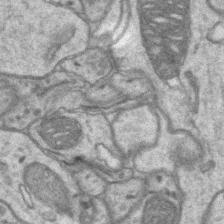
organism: Mouse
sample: CA1 Hippocampus